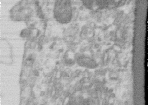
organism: Human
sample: Centriole in RPE cells